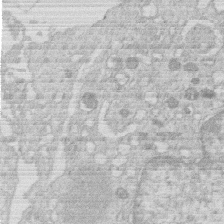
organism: Human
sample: Macrophage cells